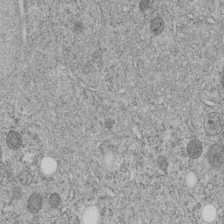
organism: C. elegans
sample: C. elegans embryo early stage